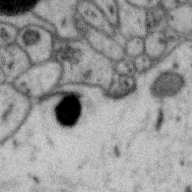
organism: Zebra finch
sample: Brain